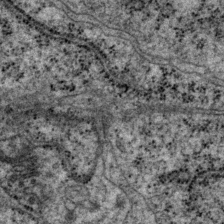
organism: P. pacificus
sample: Pharynx